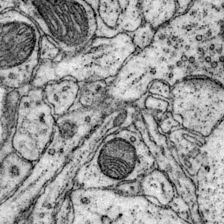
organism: Mouse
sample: Primary visual cortex